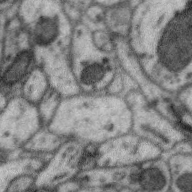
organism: Zebra finch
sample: Brain